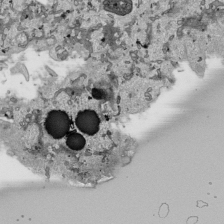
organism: Human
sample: Mitochondria in HCT116 cells